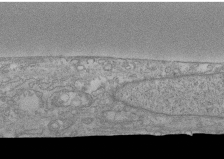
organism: Human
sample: CRL-1474